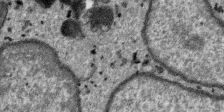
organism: Human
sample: Lung epithelial cells, uninfected (mock) control